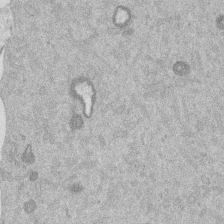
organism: Mouse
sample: Dividing mouse embryo 1 cell stage